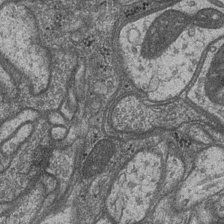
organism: Drosophila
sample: Optic medulla